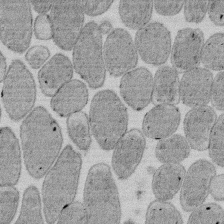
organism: E. coli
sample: Bacterial nucleoid